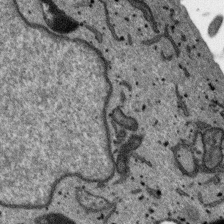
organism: Human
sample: Lung epithelial cells, uninfected (mock) control